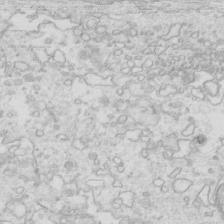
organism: Mouse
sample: Multiciliated cells